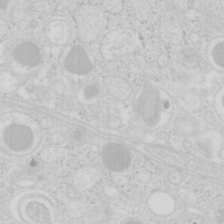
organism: Mouse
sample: Pancreas